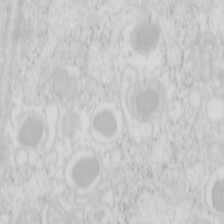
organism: Mouse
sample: Pancreas